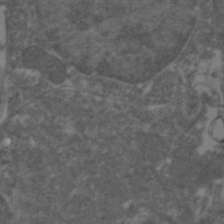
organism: Zebrafish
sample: Zebrafish embryo